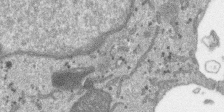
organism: Human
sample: Lung epithelial cells infected with SARS-CoV-2